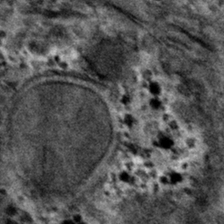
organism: Mouse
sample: Mouse hepatocytes